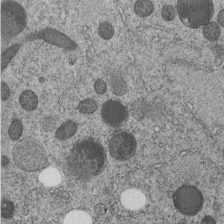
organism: C. elegans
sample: C. elegans embryo early stage